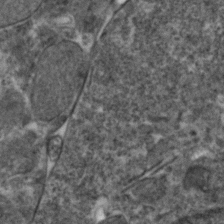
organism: Zebrafish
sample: Zebrafish embryo